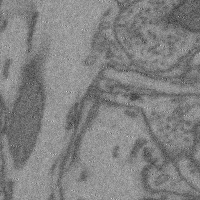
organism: Mouse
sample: Cerebral cortex